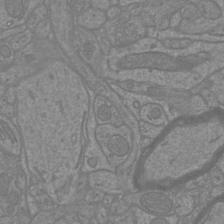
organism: Mouse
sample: Cortical neurons